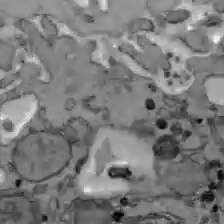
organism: C57BL Mouse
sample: Liver